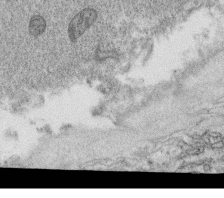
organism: C. elegans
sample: C. elegans oocyte; sperm cells